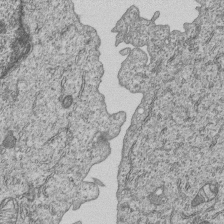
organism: Human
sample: MDA-MB-231 cells